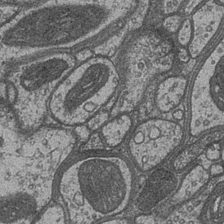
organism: Drosophila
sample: Optic medulla